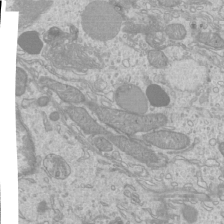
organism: Mouse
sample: Cilia; mouse epididymis